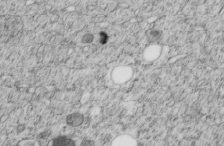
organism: C. elegans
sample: C. elegans embryo early stage